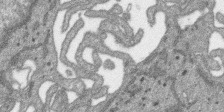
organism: Human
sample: Lung epithelial cells infected with SARS-CoV-2